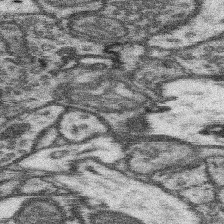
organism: Mouse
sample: Somatosensory cortex neuropil